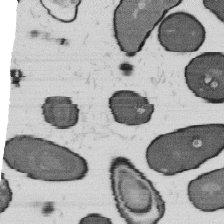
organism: B. subtilis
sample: Bacterial spore